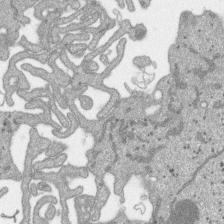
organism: Human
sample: Lung epithelial cells infected with SARS-CoV-2